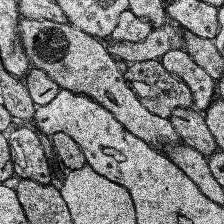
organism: Human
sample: Temporal Lobe